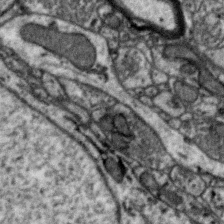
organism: Zebra finch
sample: Brain